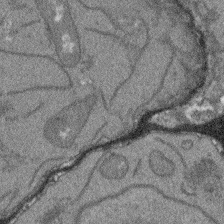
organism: Arabidopsis thaliana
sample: Root tip